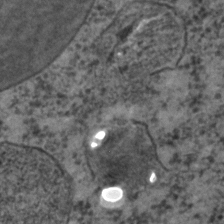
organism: C. elegans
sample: C. elegans embryo